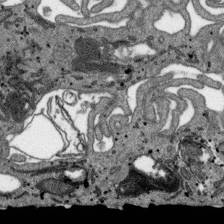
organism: Human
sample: Lung epithelial cells, uninfected (mock) control